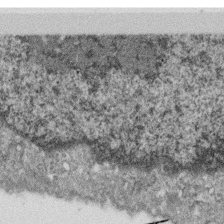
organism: African green monkey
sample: Vero E6 cells infected with SARS-CoV-2